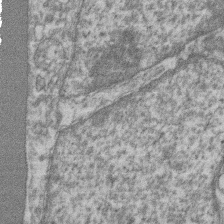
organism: Mouse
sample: T cell stromal cell synapse